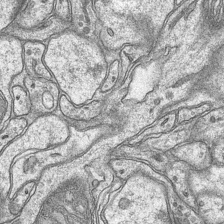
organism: Mouse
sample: CA1 Hippocampus